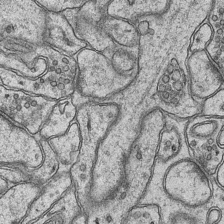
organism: Mouse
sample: CA1 Hippocampus